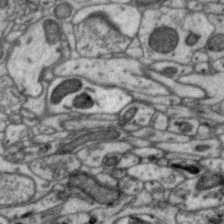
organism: Zebra finch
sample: Brain